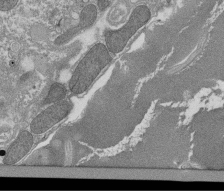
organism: Tetrahymena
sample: Cilia in tetrahymena